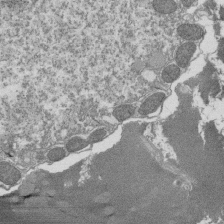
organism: Tetrahymena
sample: Cilia in tetrahymena